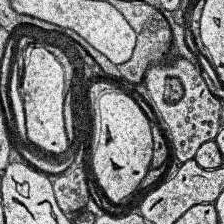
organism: Human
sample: Temporal Lobe